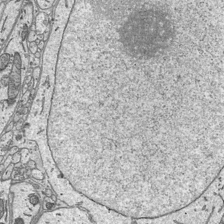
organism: Mouse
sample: Suprachiasmatic nucleus